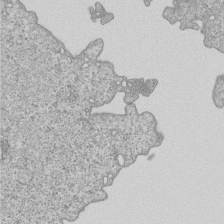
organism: Human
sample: MDA-MB-231 cells